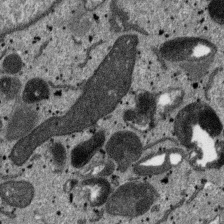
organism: Human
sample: Lung epithelial cells, uninfected (mock) control